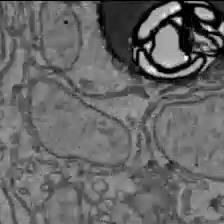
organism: C57BL Mouse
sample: Liver